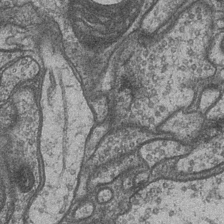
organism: Drosophila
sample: Optic medulla